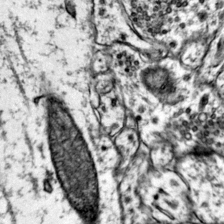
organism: Mouse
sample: Primary visual cortex